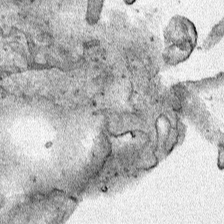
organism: Human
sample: Mitochondria in HCT116 cells